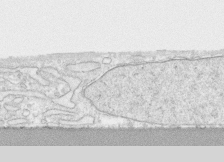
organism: Human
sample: CRL-1474